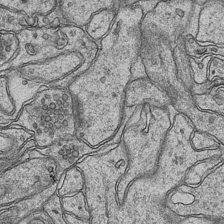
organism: Mouse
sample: CA1 Hippocampus